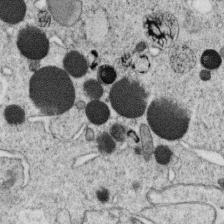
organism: C. elegans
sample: C. elegans oocyte; sperm cells